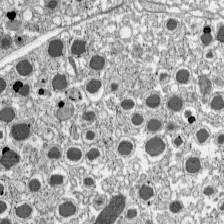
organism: C57BL Mouse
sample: Pancreatic islet